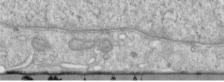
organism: Human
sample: Centriole in RPE cells